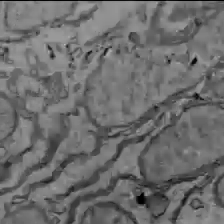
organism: C57BL Mouse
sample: Liver